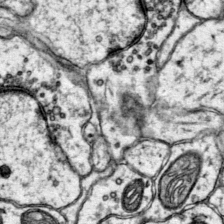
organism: Mouse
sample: Primary visual cortex